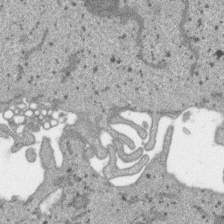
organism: Human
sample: Lung epithelial cells infected with SARS-CoV-2